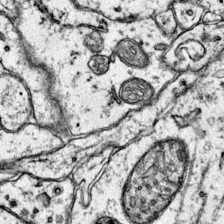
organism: Mouse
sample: Primary visual cortex